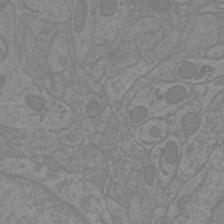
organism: Mouse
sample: Cortical neurons